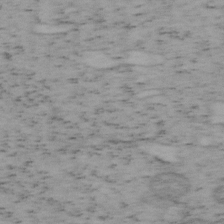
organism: Mouse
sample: OT-I killer T cells with ID8 ovarian cancer cells